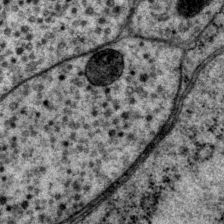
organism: P. pacificus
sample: Pharynx